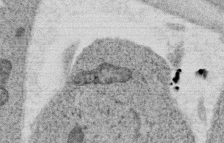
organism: C. elegans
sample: C. elegans oocyte; sperm cells